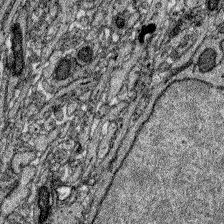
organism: Zebrafish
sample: Larval olfactory bulb